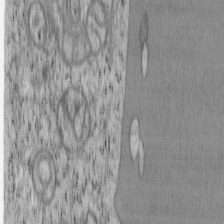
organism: Human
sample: HeLa cells